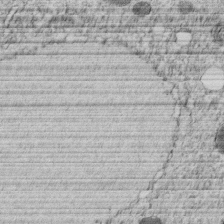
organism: C. elegans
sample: C. elegans embryo early stage